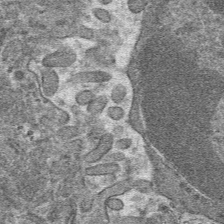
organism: Mouse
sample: Mouse hepatocytes